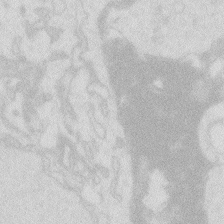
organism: Zebrafish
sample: Macrophage